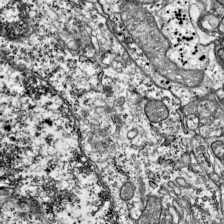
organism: Mouse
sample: Visual Cortex